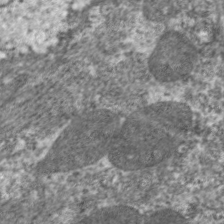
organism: C. elegans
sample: Pharynx